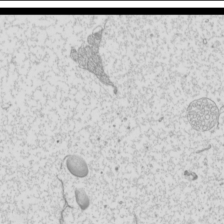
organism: Mouse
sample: Cilia; mouse epididymis